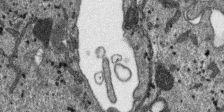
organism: Human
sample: Lung epithelial cells infected with SARS-CoV-2